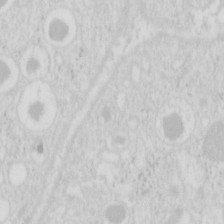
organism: Mouse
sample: Pancreas